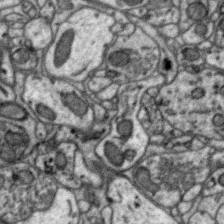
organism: Zebra finch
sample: Brain